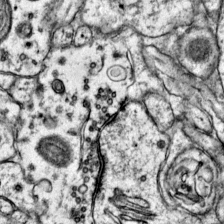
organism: Mouse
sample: Primary visual cortex